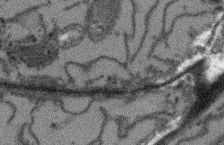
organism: Arabidopsis thaliana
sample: Root tip